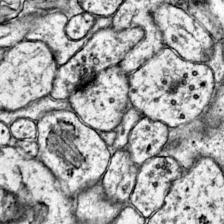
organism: Mouse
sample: Primary visual cortex